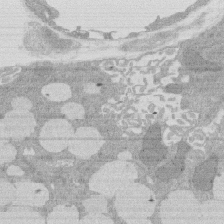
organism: Rat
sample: Salivary granule